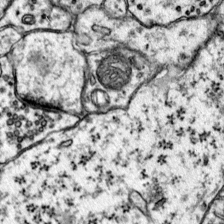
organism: Mouse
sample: Primary visual cortex